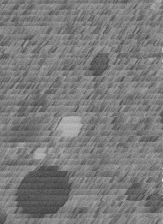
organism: C. elegans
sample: C. elegans embryo early stage